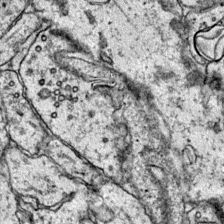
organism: Mouse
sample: Primary visual cortex